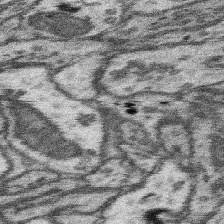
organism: Mouse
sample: Somatosensory cortex neuropil